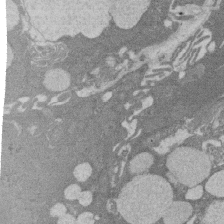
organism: Rat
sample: Salivary granule